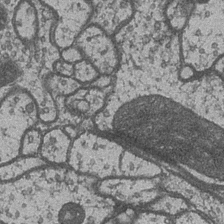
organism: Drosophila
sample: Optic medulla